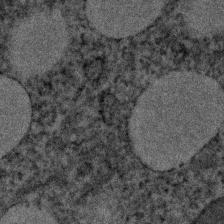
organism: Human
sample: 1205lu cells